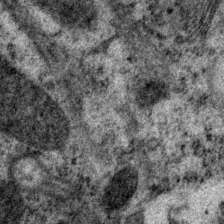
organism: P. pacificus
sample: Pharynx